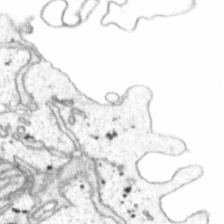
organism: Human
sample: HeLa cells